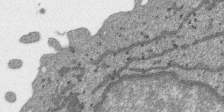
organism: Human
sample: Lung epithelial cells infected with SARS-CoV-2